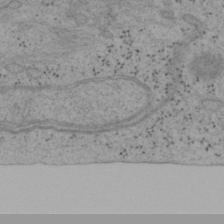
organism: Human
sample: HeLa cells